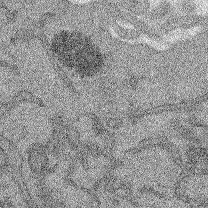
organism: Human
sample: HeLa cells